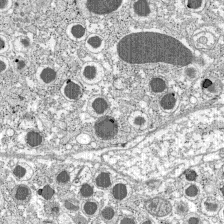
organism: C57BL Mouse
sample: Pancreatic islet